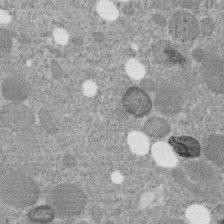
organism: C. elegans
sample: C. elegans embryo early stage